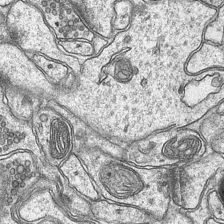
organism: Mouse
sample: CA1 Hippocampus